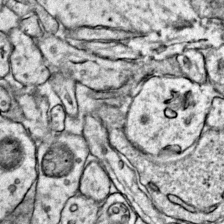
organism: Mouse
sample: Primary visual cortex